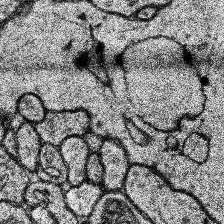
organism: Human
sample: Temporal Lobe